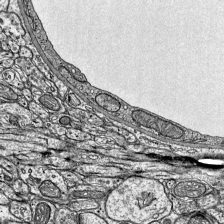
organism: Mouse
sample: Visual Cortex